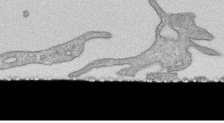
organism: Human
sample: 1205lu cells